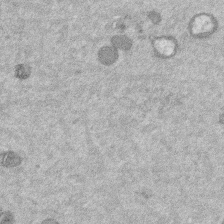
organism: Mouse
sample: Dividing mouse embryo 1 cell stage